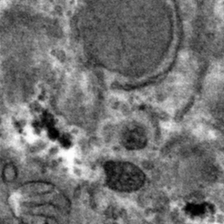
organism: Mouse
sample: Mouse hepatocytes